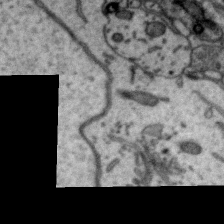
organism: Zebra finch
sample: Brain